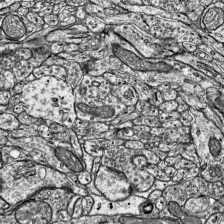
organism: Mouse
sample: Visual Cortex